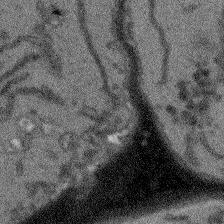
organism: Arabidopsis thaliana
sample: Root tip